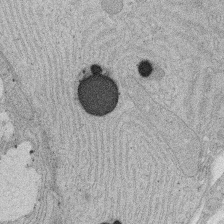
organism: Rat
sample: Salivary granule